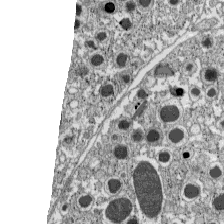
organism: C57BL Mouse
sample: Pancreatic islet